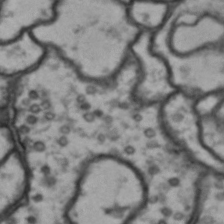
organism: Drosophila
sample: Brain